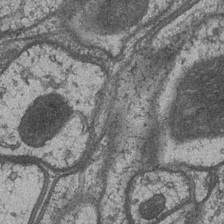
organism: Drosophila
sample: Optic medulla